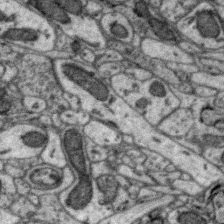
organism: Zebra finch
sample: Brain